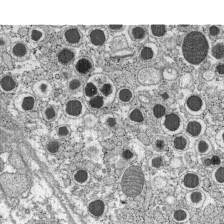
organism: C57BL Mouse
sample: Pancreatic islet